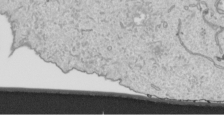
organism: Human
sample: Mitochondria in HCT116 cells